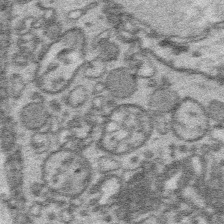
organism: Platynereis dumerilii